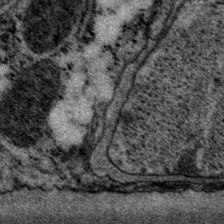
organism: P. pacificus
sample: Pharynx